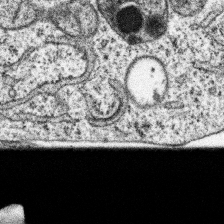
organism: Human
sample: HeLa cells